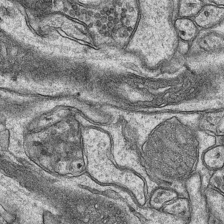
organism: Mouse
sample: CA1 Hippocampus